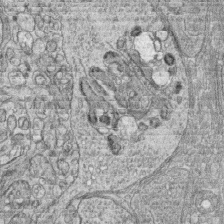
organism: Zebrafish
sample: synaptic ribbons in rod cells and cone cells